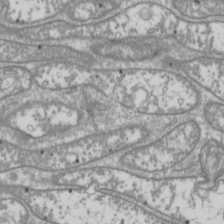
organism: Drosophila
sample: Cell division; meiosis; drosophila spermatocytes